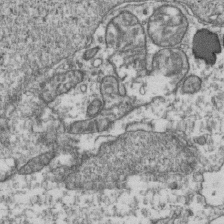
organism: Human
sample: Activated Jurkat CD4+ T cells